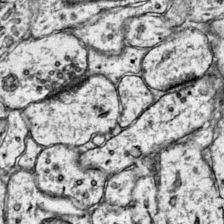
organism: Mouse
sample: Primary visual cortex